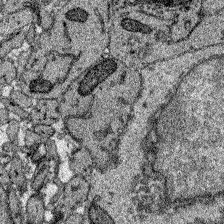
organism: Zebrafish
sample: Larval olfactory bulb